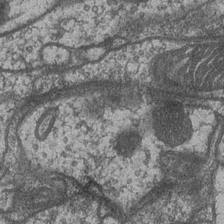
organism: Drosophila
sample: Optic medulla